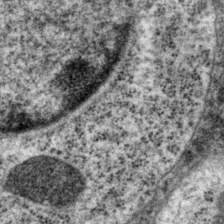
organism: P. pacificus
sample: Pharynx